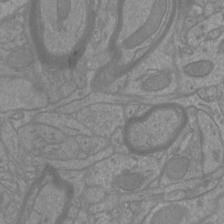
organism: Mouse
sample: Cortical neurons